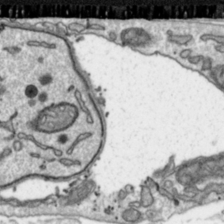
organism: Toxoplasma gondii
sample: Parasites in a vacuole inside a host cell